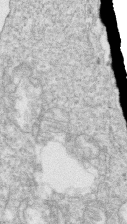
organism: Human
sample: HeLa cell HIV synapse